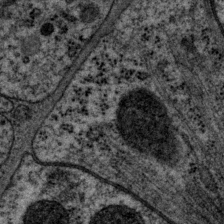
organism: P. pacificus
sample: Pharynx